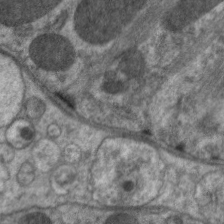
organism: C. elegans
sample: Pharynx